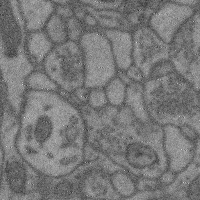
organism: Mouse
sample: Cerebral cortex